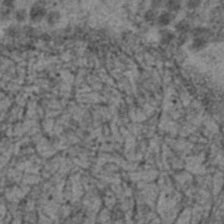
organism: C. elegans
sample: C. elegans embryo